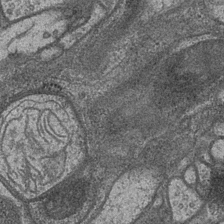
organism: Drosophila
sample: Optic medulla